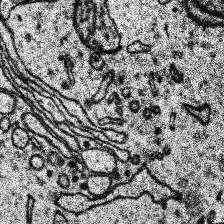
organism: Human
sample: Temporal Lobe